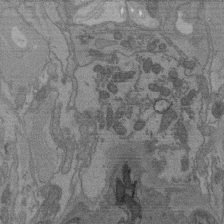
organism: C. elegans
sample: AFD neurons C. elegans